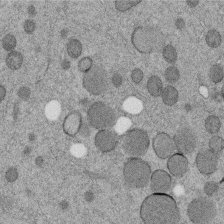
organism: C. elegans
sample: C. elegans embryo early stage